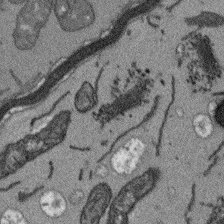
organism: Arabidopsis thaliana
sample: Root tip